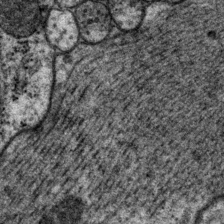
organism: P. pacificus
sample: Pharynx